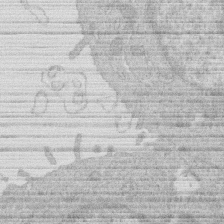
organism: Human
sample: Macrophage cells